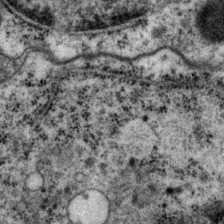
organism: P. pacificus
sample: Pharynx